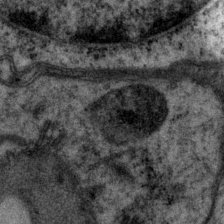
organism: P. pacificus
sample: Pharynx